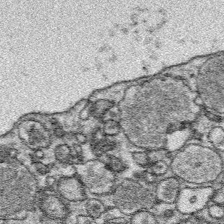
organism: Platynereis dumerilii